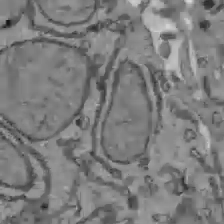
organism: C57BL Mouse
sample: Liver